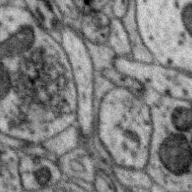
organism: Zebra finch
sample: Brain